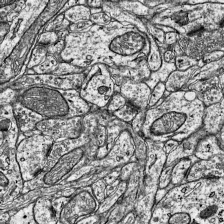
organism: Mouse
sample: Visual Cortex